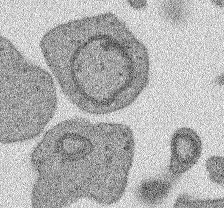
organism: Human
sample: HeLa cells